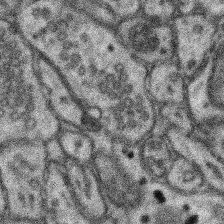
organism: Mouse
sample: Somatosensory cortex neuropil